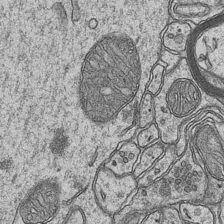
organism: Mouse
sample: CA1 Hippocampus